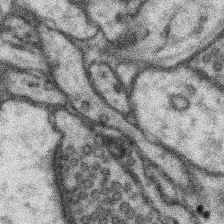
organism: Mouse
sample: Somatosensory cortex neuropil